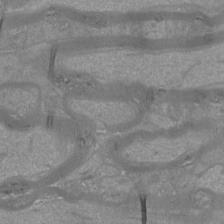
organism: Mouse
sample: Cortical neurons